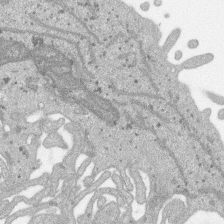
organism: Human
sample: Lung epithelial cells infected with SARS-CoV-2